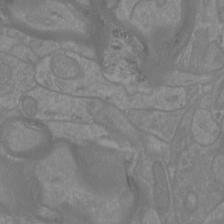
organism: Mouse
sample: Cortical neurons